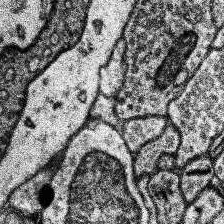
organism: Human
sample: Temporal Lobe